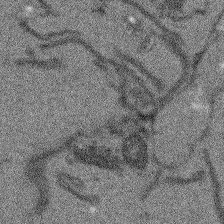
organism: Arabidopsis thaliana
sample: Root tip